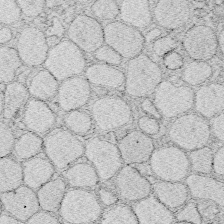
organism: Zebrafish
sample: Whole-Brain